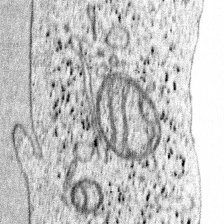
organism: Human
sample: HeLa cells